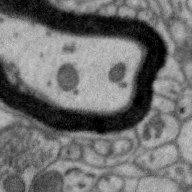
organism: Zebra finch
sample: Brain